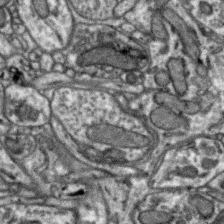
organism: Zebra finch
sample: Brain